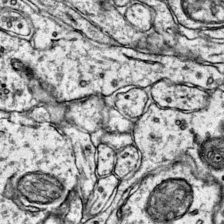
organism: Mouse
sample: Primary visual cortex